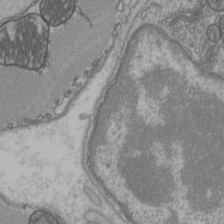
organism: C57BL Mouse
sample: Heart